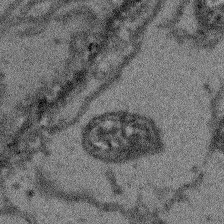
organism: Arabidopsis thaliana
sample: Root tip